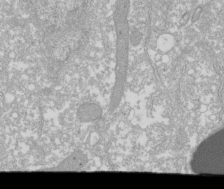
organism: Xenopus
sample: Cilia; centrioles in frog embryo cells